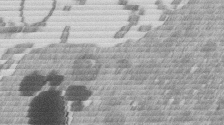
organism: Mouse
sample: Dividing mouse embryo 1 cell stage